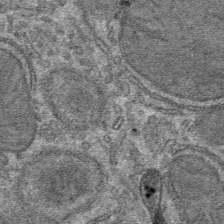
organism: Mouse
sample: Mouse hepatocytes